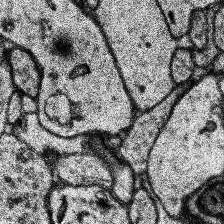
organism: Human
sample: Temporal Lobe